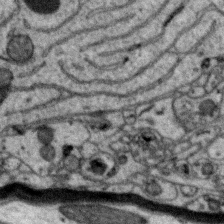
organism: Zebra finch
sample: Brain